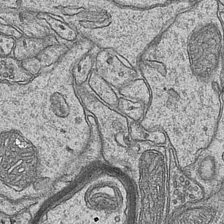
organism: Mouse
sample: CA1 Hippocampus